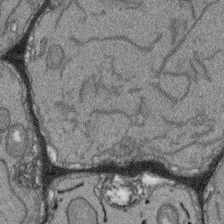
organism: Arabidopsis thaliana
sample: Root tip